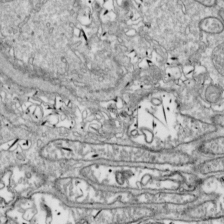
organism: Drosophila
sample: Cell division; meiosis; drosophila spermatocytes